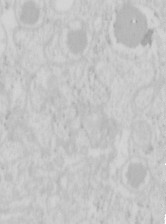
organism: Mouse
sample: Pancreas